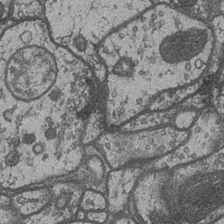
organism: Drosophila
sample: Optic medulla